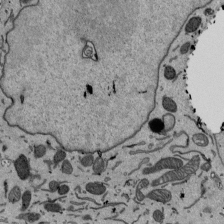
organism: Mouse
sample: ED-1 cell nuclei; centrioles